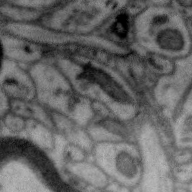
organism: Zebra finch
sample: Brain